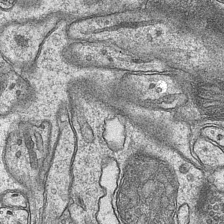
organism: Mouse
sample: CA1 Hippocampus